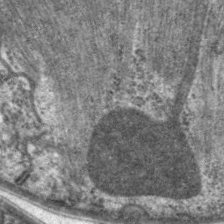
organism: C. elegans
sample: Pharynx